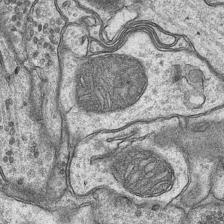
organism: Mouse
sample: CA1 Hippocampus